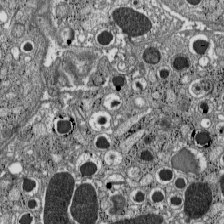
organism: C57BL Mouse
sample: Pancreatic islet